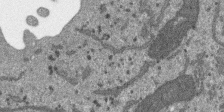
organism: Human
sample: Lung epithelial cells infected with SARS-CoV-2